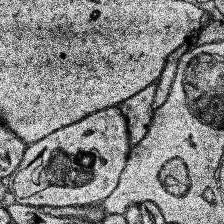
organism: Human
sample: Temporal Lobe